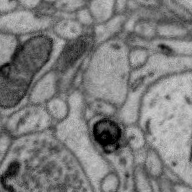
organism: Zebra finch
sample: Brain